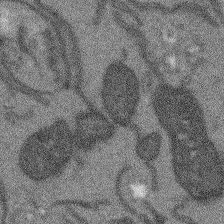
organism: Arabidopsis thaliana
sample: Root tip